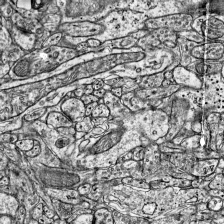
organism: Mouse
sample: Visual Cortex